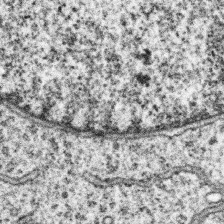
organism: Human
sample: HeLa cells